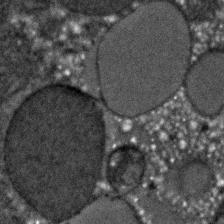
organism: C. elegans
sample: C. elegans embryo